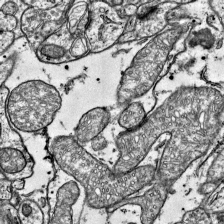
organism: Mouse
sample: Visual Cortex